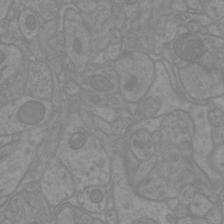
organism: Mouse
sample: Cortical neurons